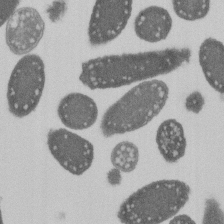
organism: E. coli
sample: Bacterial nucleoid